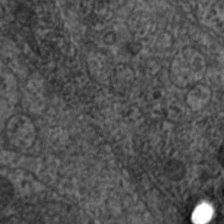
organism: C. elegans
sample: Pharynx